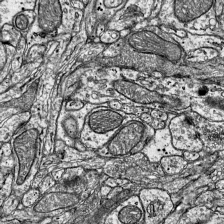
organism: Mouse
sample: Visual Cortex